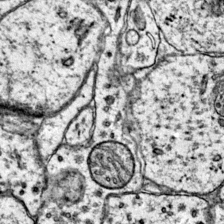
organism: Mouse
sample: Primary visual cortex